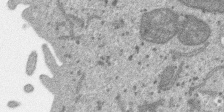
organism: Human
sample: Lung epithelial cells infected with SARS-CoV-2